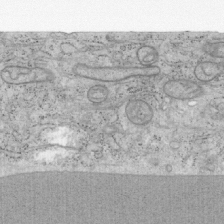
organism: Human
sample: HeLa cells